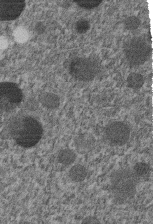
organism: C. elegans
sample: C. elegans embryo early stage